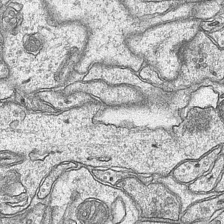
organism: Mouse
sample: CA1 Hippocampus